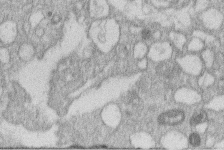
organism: Human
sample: Macrophage cells